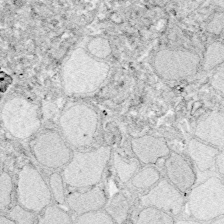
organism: Zebrafish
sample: Whole-Brain